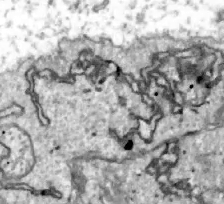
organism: Zebrafish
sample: Actinotrichia fibers